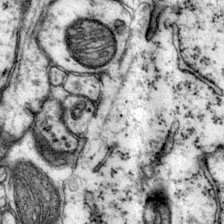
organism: Mouse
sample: Primary visual cortex